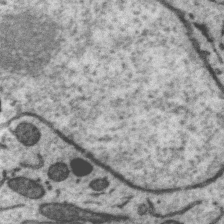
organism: Zebra finch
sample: Brain